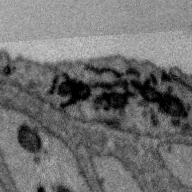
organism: Zebra finch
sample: Brain